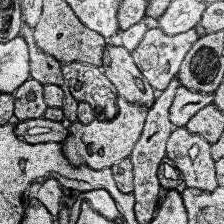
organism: Human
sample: Temporal Lobe